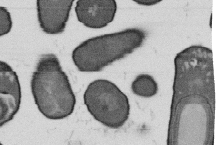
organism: B. subtilis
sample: Bacterial spore